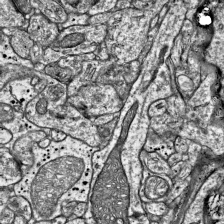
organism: Mouse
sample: Visual Cortex